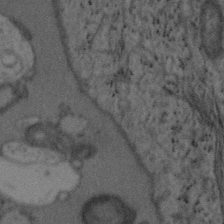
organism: Human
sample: HeLa cells